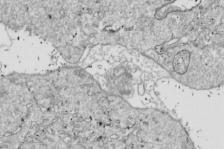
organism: Drosophila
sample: Cell division; meiosis; drosophila spermatocytes